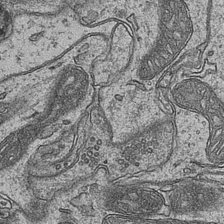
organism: Mouse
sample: CA1 Hippocampus